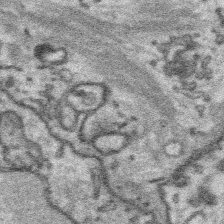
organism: Platynereis dumerilii